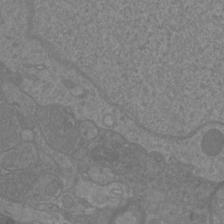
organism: Mouse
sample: Cortical neurons